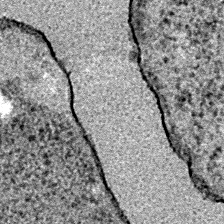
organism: E. coli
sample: E. Coli Bacteria